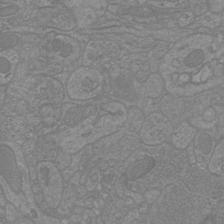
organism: Mouse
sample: Cortical neurons